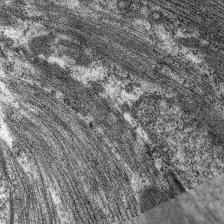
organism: C. elegans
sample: Pharynx